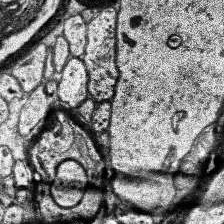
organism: Human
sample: Temporal Lobe